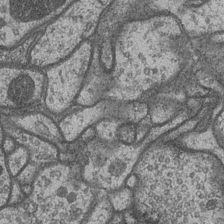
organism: Drosophila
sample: Optic medulla